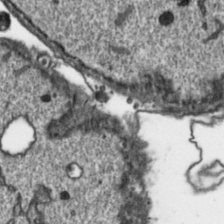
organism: Toxoplasma gondii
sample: Parasites in a vacuole inside a host cell